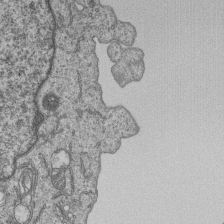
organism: Human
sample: MDA-MB-231 cells